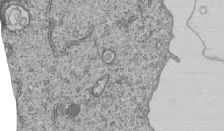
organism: Human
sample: MDA-MB-231 cells